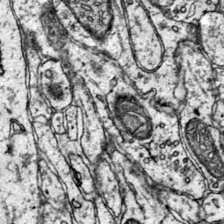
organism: Mouse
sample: Primary visual cortex